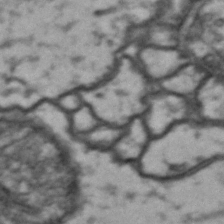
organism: Drosophila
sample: Brain